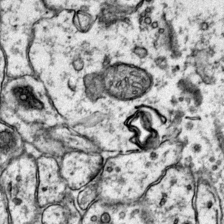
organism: Mouse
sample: Primary visual cortex